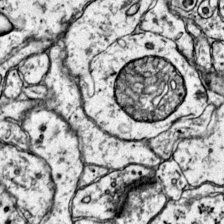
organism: Mouse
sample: Primary visual cortex